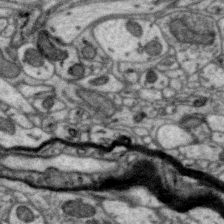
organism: Zebra finch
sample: Brain